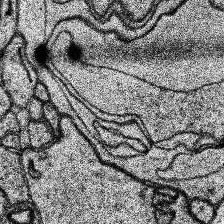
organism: Human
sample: Temporal Lobe